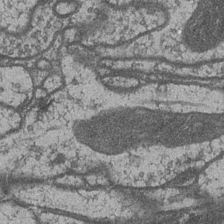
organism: Drosophila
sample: Optic medulla